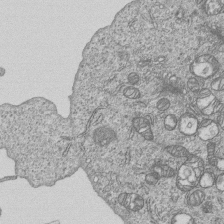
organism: Human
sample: MDA-MB-231 cells